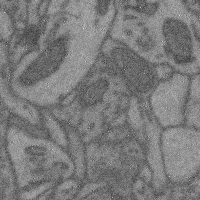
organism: Mouse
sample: Cerebral cortex